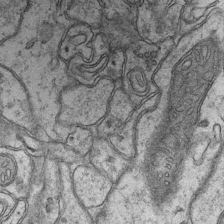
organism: Mouse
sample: CA1 Hippocampus